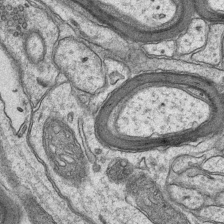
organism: Mouse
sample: CA1 Hippocampus